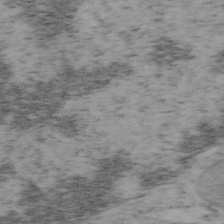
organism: Mouse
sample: OT-I killer T cells with ID8 ovarian cancer cells